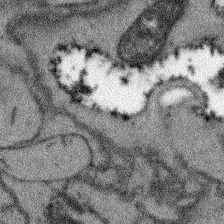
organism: Arabidopsis thaliana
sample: Root tip